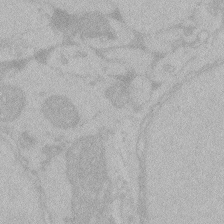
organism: Zebrafish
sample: Macrophage infected with Toxoplasma gondii